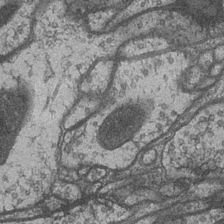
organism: Drosophila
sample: Optic medulla